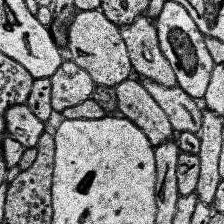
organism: Human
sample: Temporal Lobe